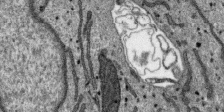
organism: Human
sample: Lung epithelial cells, uninfected (mock) control